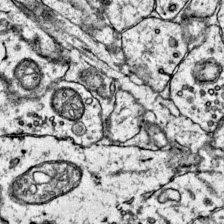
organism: Mouse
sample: Primary visual cortex